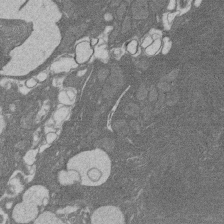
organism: Rat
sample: Salivary granule